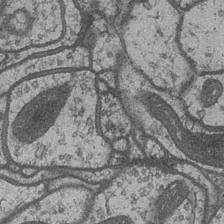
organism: Drosophila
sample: Optic medulla